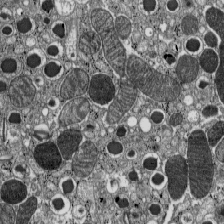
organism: C57BL Mouse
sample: Pancreatic islet